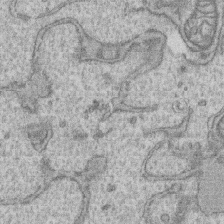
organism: Human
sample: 1205lu cells